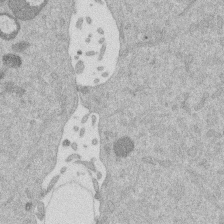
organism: Mouse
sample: Dividing mouse embryo 1 cell stage